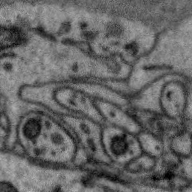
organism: Zebra finch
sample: Brain